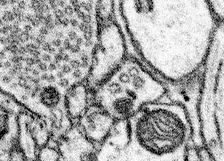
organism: Mouse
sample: Somatosensory cortex neuropil